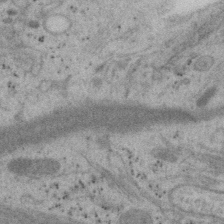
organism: Human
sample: HeLa cells